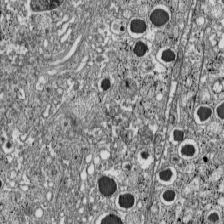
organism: C57BL Mouse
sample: Pancreatic islet